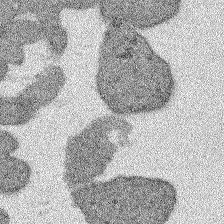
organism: Human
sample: HeLa cells